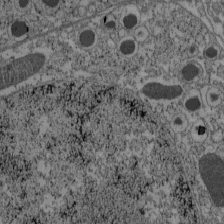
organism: C57BL Mouse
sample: Pancreatic islet